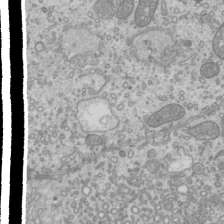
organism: Mouse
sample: Cilia; mouse epididymis